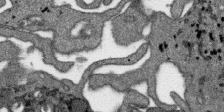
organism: Human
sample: Lung epithelial cells, uninfected (mock) control